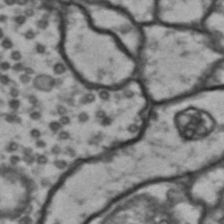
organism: Drosophila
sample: Brain